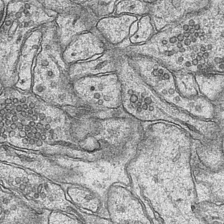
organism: Mouse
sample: CA1 Hippocampus